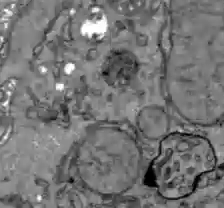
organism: C57BL Mouse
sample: Liver